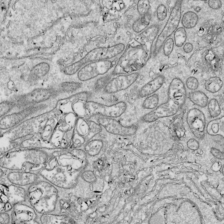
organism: Drosophila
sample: Cell division; meiosis; drosophila spermatocytes